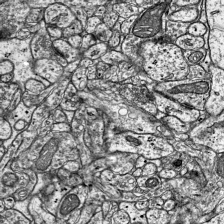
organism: Mouse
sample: Visual Cortex